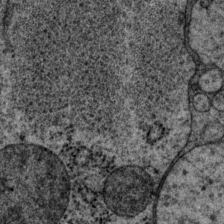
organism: P. pacificus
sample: Pharynx